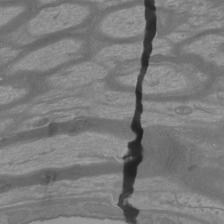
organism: Mouse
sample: Cortical neurons